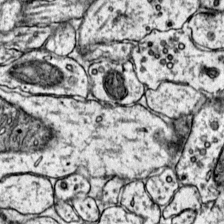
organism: Mouse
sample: Primary visual cortex